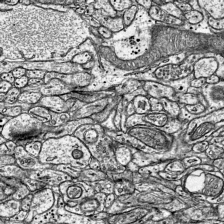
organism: Mouse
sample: Visual Cortex